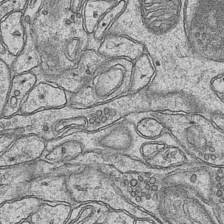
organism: Mouse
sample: CA1 Hippocampus